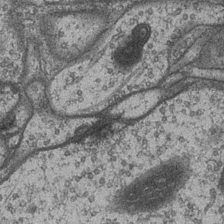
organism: Drosophila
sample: Optic medulla